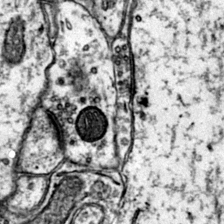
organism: Mouse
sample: Primary visual cortex